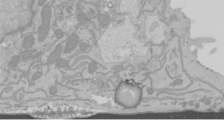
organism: Mouse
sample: Cancer cell death in ED-1 cells